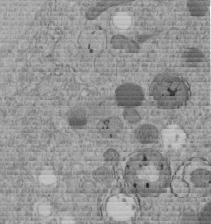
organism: C. elegans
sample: C. elegans embryo early stage